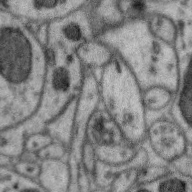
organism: Zebra finch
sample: Brain